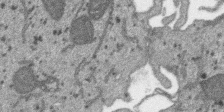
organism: Human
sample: Lung epithelial cells infected with SARS-CoV-2